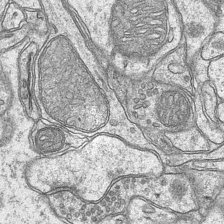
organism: Mouse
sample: CA1 Hippocampus